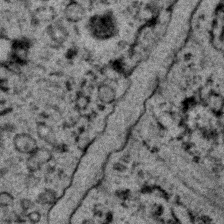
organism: C. elegans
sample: C. elegans embryo